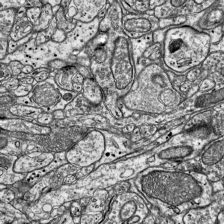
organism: Mouse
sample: Visual Cortex